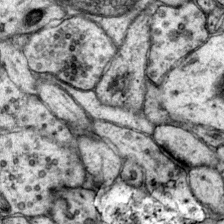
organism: Mouse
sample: Primary visual cortex